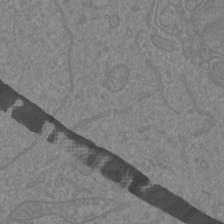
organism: Mouse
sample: Cortical neurons